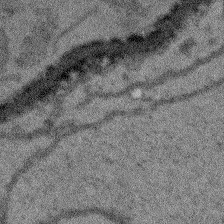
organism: Arabidopsis thaliana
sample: Root tip